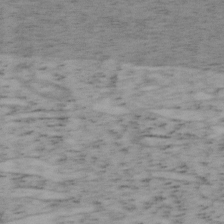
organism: Mouse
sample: OT-I killer T cells with ID8 ovarian cancer cells